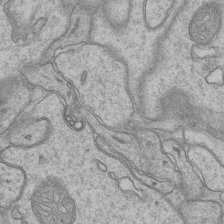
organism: Mouse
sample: CA1 Hippocampus